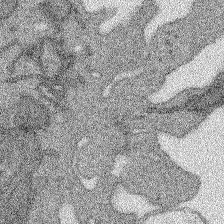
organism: Human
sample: HeLa cells